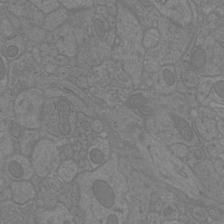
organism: Mouse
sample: Cortical neurons